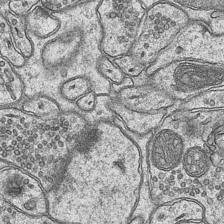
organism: Mouse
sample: CA1 Hippocampus